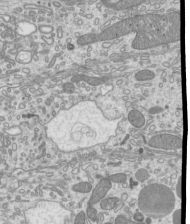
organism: Mouse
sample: Cilia; mouse epididymis